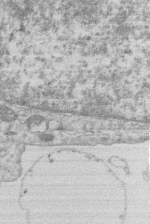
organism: Human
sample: Macrophage cells